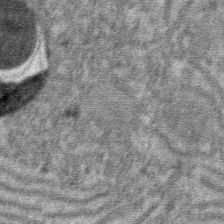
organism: Mouse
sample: Mouse hepatocytes